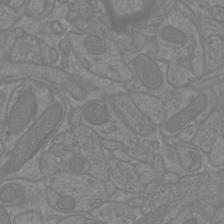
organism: Mouse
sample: Cortical neurons